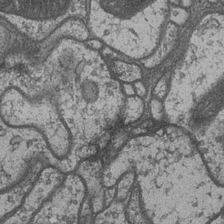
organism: Drosophila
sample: Optic medulla